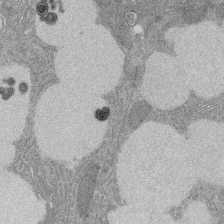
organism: Rat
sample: Salivary granule